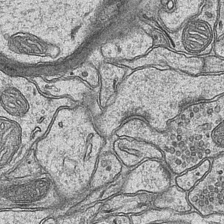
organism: Mouse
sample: CA1 Hippocampus